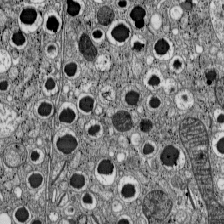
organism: C57BL Mouse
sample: Pancreatic islet